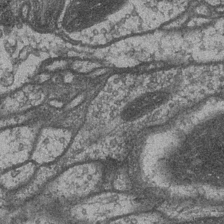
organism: Drosophila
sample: Optic medulla